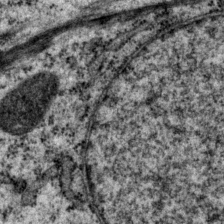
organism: P. pacificus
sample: Pharynx